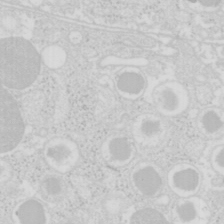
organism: Mouse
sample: Pancreas